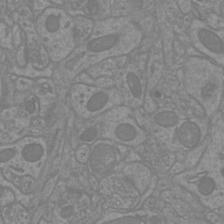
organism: Mouse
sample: Cortical neurons